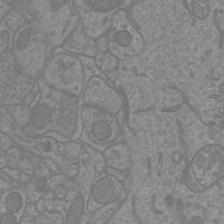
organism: Mouse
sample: Cortical neurons